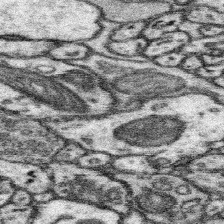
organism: Mouse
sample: Somatosensory cortex neuropil